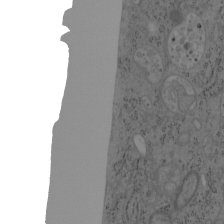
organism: Mouse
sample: OT-I killer T cells with ID8 ovarian cancer cells